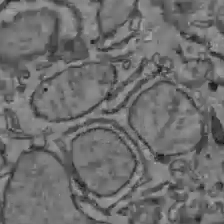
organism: C57BL Mouse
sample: Liver